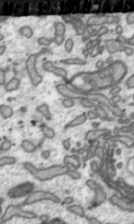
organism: Toxoplasma gondii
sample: Parasites in a vacuole inside a host cell